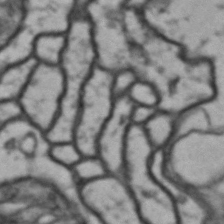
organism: Drosophila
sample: Brain